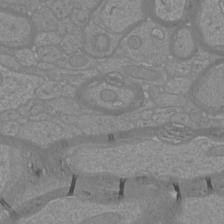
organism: Mouse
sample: Cortical neurons